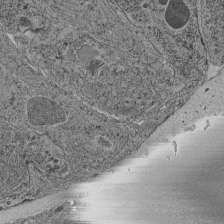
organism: C. elegans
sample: C. elegans pharynx